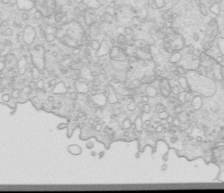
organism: Mouse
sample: Multiciliated cells